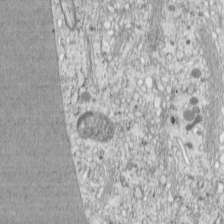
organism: African green monkey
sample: COS-7 cells